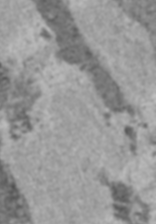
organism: C57BL Mouse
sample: Heart